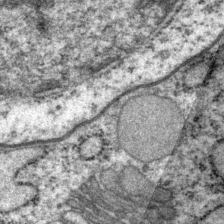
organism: P. pacificus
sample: Pharynx